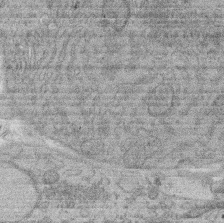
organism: Rat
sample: Salivary granule